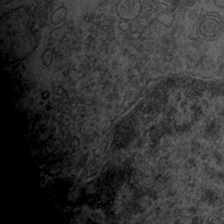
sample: Trachea